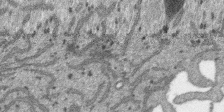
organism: Human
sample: Lung epithelial cells infected with SARS-CoV-2